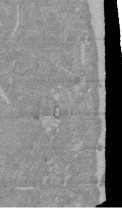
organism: Mouse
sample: ED-1 cell nuclei; centrioles